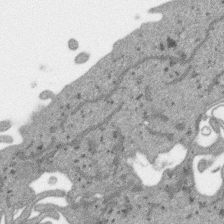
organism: Human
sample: Lung epithelial cells infected with SARS-CoV-2